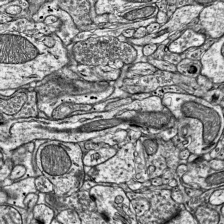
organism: Mouse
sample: Visual Cortex